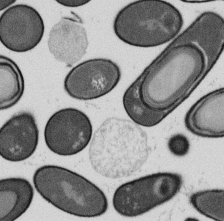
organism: B. subtilis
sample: Bacterial spore